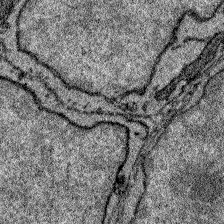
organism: Zebrafish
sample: Larval olfactory bulb